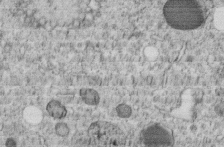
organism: C. elegans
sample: C. elegans embryo early stage